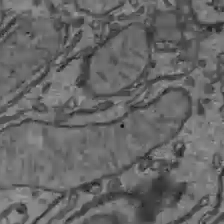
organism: C57BL Mouse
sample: Liver